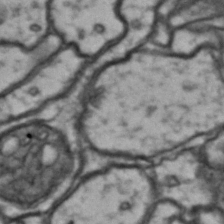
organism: Drosophila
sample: Brain